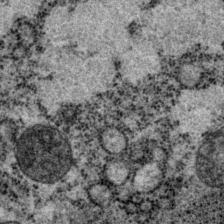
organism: P. pacificus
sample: Pharynx